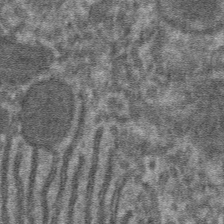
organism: Mouse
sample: Mouse hepatocytes